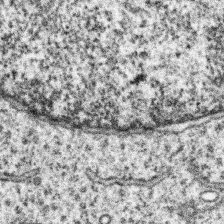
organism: Human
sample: HeLa cells